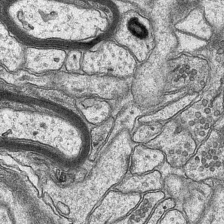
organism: Mouse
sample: CA1 Hippocampus